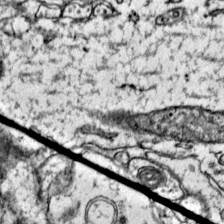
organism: Mouse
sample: Primary visual cortex